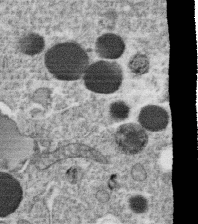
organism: C. elegans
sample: C. elegans oocyte; sperm cells